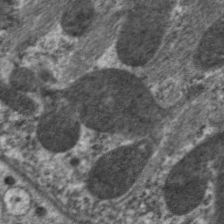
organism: C. elegans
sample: Pharynx